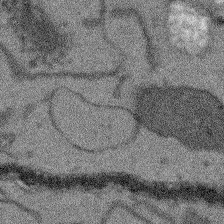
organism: Arabidopsis thaliana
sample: Root tip